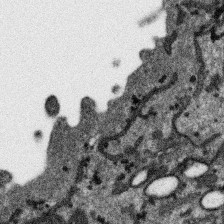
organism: Human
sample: Lung epithelial cells infected with SARS-CoV-2